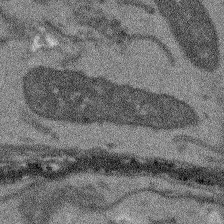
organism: Arabidopsis thaliana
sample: Root tip